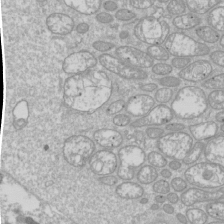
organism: Drosophila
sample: Cell division; meiosis; drosophila spermatocytes